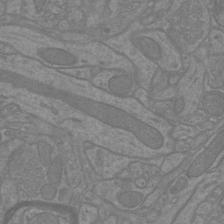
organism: Mouse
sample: Cortical neurons